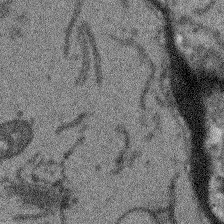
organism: Arabidopsis thaliana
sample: Root tip